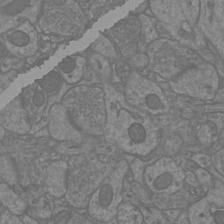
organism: Mouse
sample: Cortical neurons